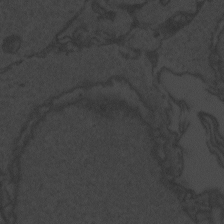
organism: Zebrafish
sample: Macrophage infected with Toxoplasma gondii